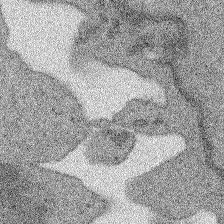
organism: Human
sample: HeLa cells